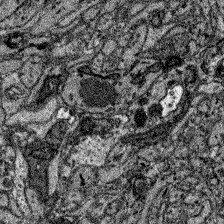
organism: Zebrafish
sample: Larval olfactory bulb